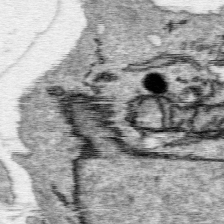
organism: Human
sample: HeLa cells